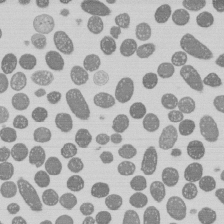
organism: E. coli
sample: Bacterial nucleoid